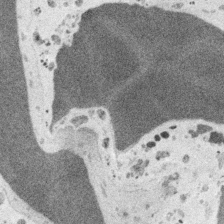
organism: Embia sp.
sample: Silk gland